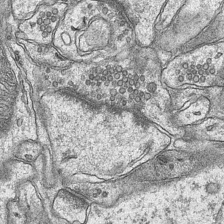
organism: Mouse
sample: CA1 Hippocampus